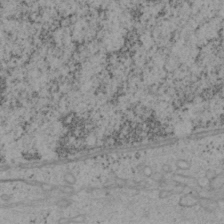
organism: Human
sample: HeLa cells